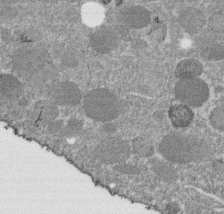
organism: C. elegans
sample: C. elegans embryo early stage